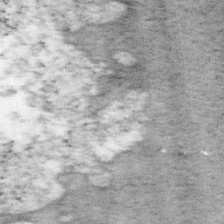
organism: Mouse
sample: OT-I killer T cells with ID8 ovarian cancer cells